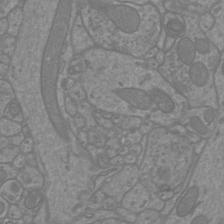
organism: Mouse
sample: Cortical neurons